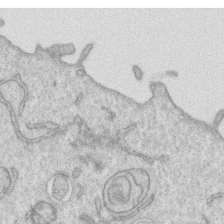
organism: Human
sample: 1205lu cells